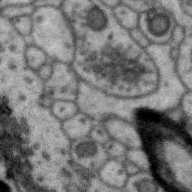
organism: Zebra finch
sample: Brain